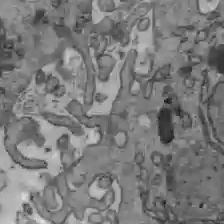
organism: C57BL Mouse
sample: Liver